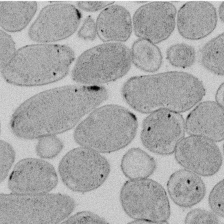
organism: E. coli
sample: Bacterial nucleoid